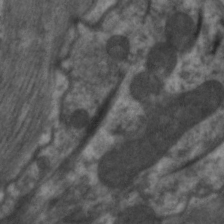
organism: C. elegans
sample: Pharynx